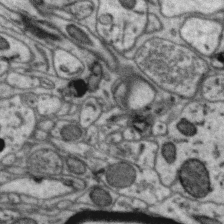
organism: Zebra finch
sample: Brain